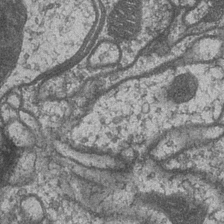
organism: Drosophila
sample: Optic medulla